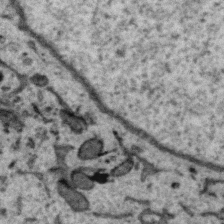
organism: Zebra finch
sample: Brain